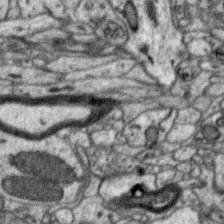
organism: Zebra finch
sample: Brain